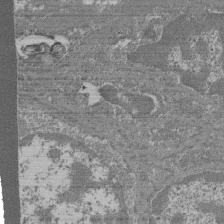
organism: Mouse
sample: Glomerulus